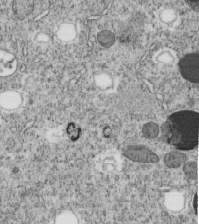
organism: C. elegans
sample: C. elegans embryo early stage